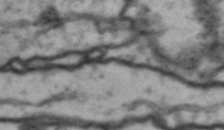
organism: Drosophila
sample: Brain